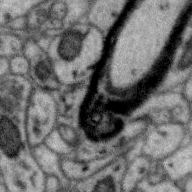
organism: Zebra finch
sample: Brain